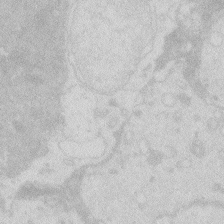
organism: Zebrafish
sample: Macrophage